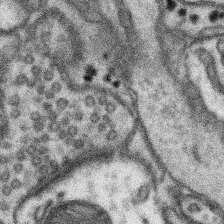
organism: Mouse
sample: Somatosensory cortex neuropil